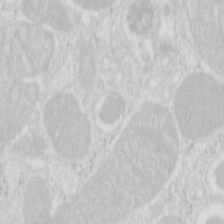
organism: Mouse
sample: Pancreas